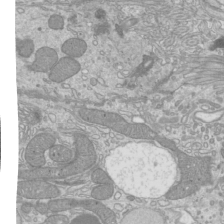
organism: Mouse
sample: Cilia; mouse epididymis